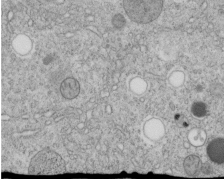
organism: C. elegans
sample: C. elegans embryo early stage